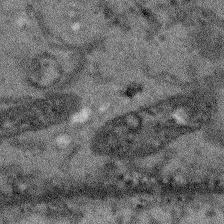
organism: Arabidopsis thaliana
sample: Root tip